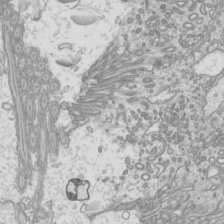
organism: Mouse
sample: Cilia; mouse epididymis